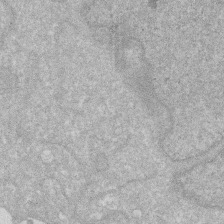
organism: Human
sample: HIV infected U937 cells